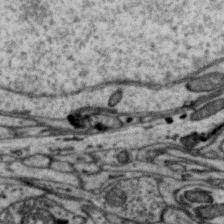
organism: Zebra finch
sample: Brain